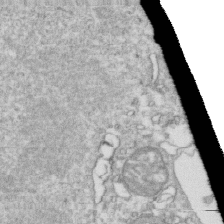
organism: Mouse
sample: Activated OT-1 CD8+ T cells